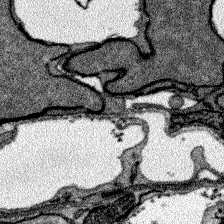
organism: Zebrafish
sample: Larval olfactory bulb